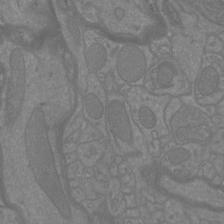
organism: Mouse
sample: Cortical neurons